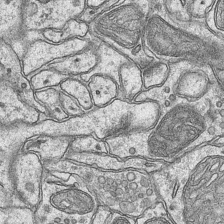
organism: Mouse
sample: CA1 Hippocampus